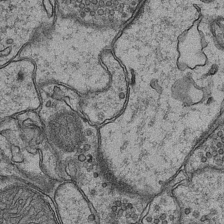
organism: Mouse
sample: CA1 Hippocampus